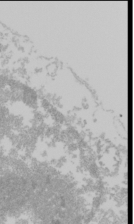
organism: Mouse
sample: Cancer cell death in ED-1 cells